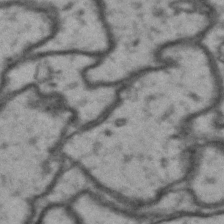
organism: Drosophila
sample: Brain